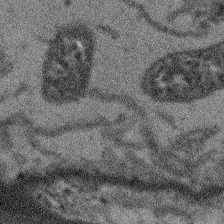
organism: Arabidopsis thaliana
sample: Root tip